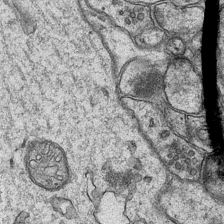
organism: Mouse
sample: CA1 Hippocampus